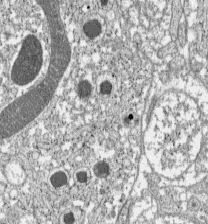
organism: C57BL Mouse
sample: Pancreatic islet